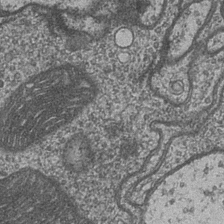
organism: Drosophila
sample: Optic medulla